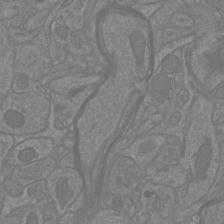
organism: Mouse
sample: Cortical neurons